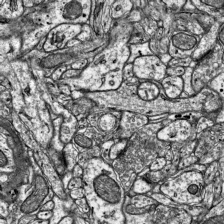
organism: Mouse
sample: Visual Cortex